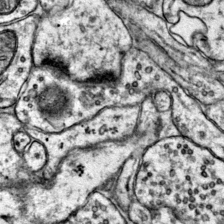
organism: Mouse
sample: Primary visual cortex